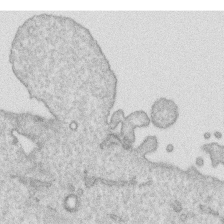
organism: Human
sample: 1205lu cells